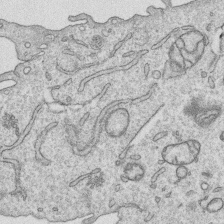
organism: Human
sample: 1205lu cells